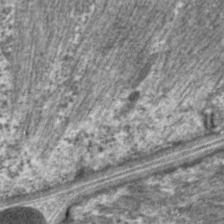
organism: C. elegans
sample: Pharynx